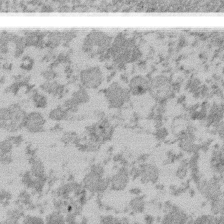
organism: Mouse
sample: Dividing mouse embryo 1 cell stage